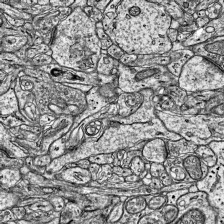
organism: Mouse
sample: Visual Cortex